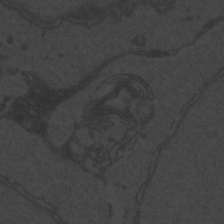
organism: Zebrafish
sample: Macrophage infected with Toxoplasma gondii